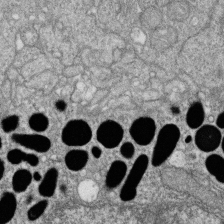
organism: Zebrafish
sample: Cilia; retinal pigment epithelium